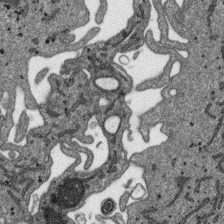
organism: Human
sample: Lung epithelial cells infected with SARS-CoV-2